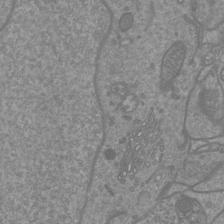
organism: Mouse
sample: Cortical neurons